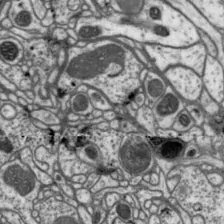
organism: Drosophila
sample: Protocerebral bridge